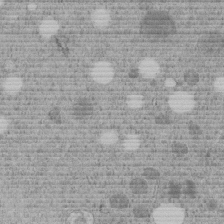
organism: C. elegans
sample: C. elegans embryo early stage